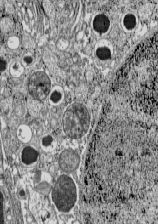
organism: C57BL Mouse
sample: Pancreatic islet